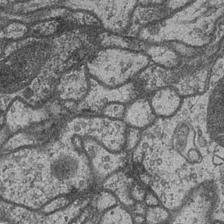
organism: Drosophila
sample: Optic medulla